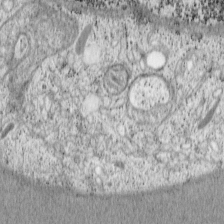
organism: African green monkey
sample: COS-7 cells